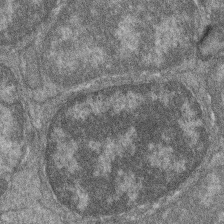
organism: Zebrafish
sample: Cilia; retinal pigment epithelium